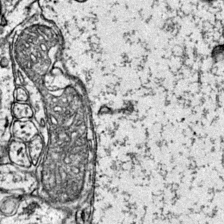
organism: Mouse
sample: Primary visual cortex